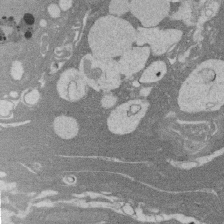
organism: Rat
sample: Salivary granule